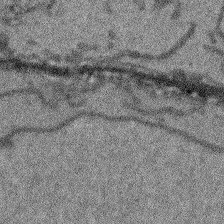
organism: Arabidopsis thaliana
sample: Root tip